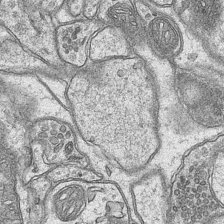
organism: Mouse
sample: CA1 Hippocampus